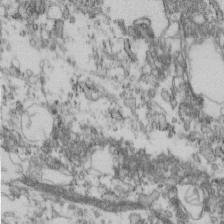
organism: Mouse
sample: Cilia; retinal pigment epithelium